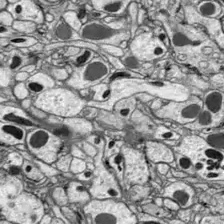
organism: Drosophila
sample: Optic lobe